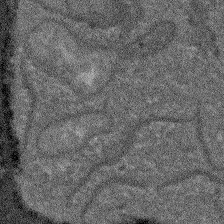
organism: Arabidopsis thaliana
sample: Root tip